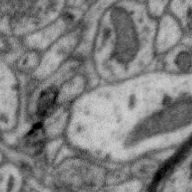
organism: Zebra finch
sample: Brain